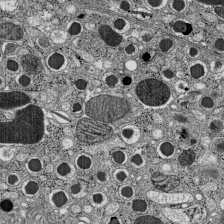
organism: C57BL Mouse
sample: Pancreatic islet